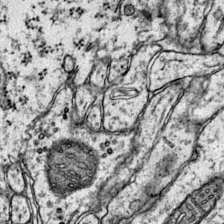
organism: Mouse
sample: Primary visual cortex